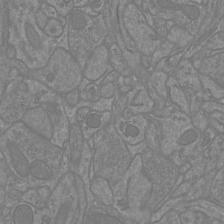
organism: Mouse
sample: Cortical neurons